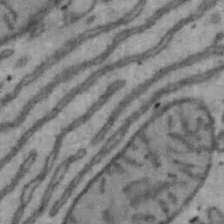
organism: Mouse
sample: Liver